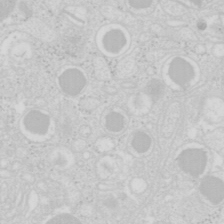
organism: Mouse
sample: Pancreas